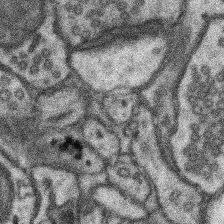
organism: Mouse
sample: Somatosensory cortex neuropil